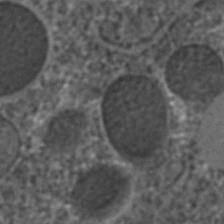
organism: C. elegans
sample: C. elegans embryo